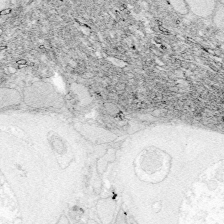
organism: Zebrafish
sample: Whole-Brain